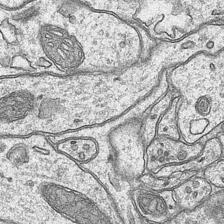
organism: Mouse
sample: CA1 Hippocampus